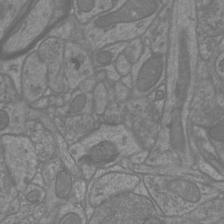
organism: Mouse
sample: Cortical neurons